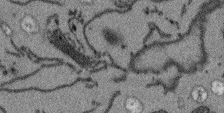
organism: Arabidopsis thaliana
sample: Root tip